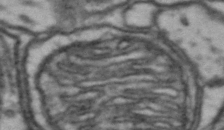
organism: Drosophila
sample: Brain